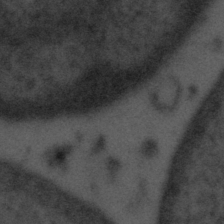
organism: Tuwongella immobilis